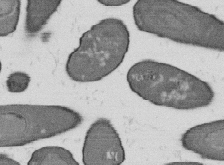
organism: B. subtilis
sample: Bacterial spore